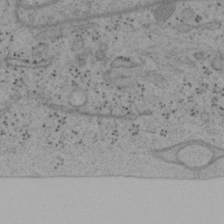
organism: Human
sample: HeLa cells